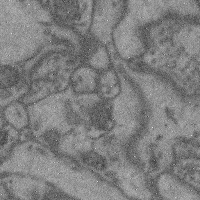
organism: Mouse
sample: Cerebral cortex